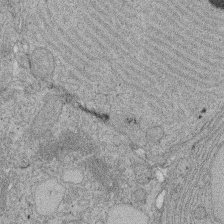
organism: Rat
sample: Salivary granule